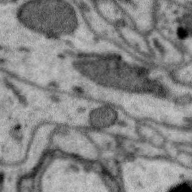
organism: Zebra finch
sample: Brain